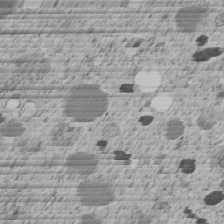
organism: C. elegans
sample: C. elegans embryo early stage